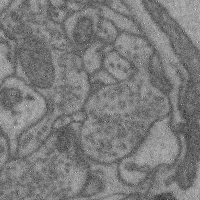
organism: Mouse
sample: Cerebral cortex